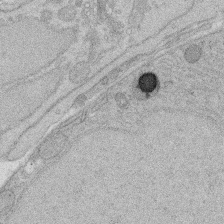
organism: Rat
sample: Salivary granule